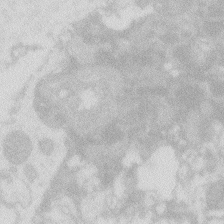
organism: Zebrafish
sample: Macrophage